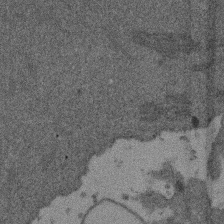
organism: Mouse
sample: Dividing mouse embryo 1 cell stage